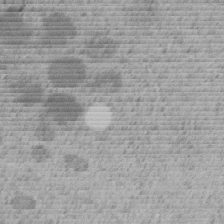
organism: C. elegans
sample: C. elegans embryo early stage